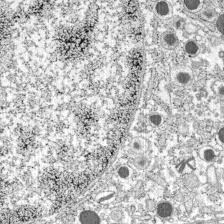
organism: C57BL Mouse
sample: Pancreatic islet